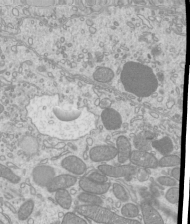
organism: Mouse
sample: Cilia; mouse epididymis